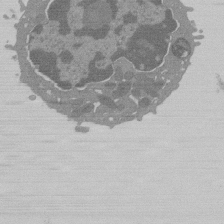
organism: Mouse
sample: Activated Pmel transgenic CD8+ T Cells